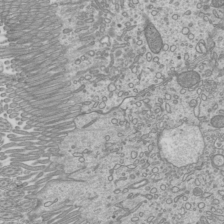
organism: Mouse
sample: Cilia; mouse epididymis